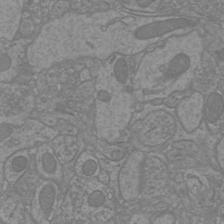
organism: Mouse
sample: Cortical neurons